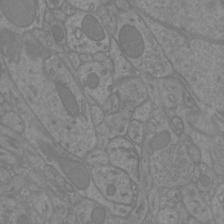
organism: Mouse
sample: Cortical neurons